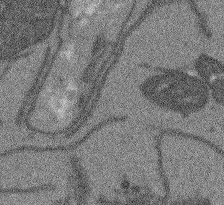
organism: Arabidopsis thaliana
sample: Root tip